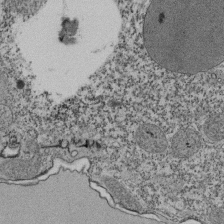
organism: Tetrahymena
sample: Cilia in tetrahymena